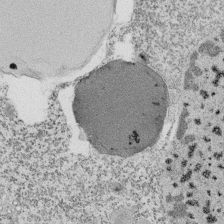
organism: Tetrahymena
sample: Cilia in tetrahymena